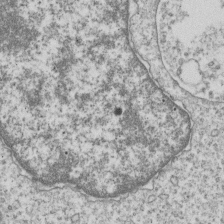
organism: Human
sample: MDA-MB-231 cells